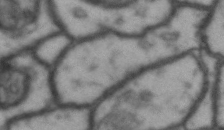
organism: Drosophila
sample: Brain